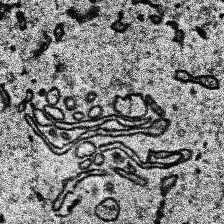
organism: Human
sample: Temporal Lobe